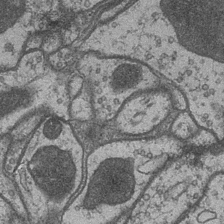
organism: Drosophila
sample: Optic medulla